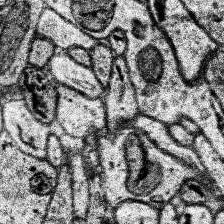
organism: Human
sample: Temporal Lobe